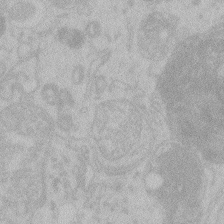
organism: Zebrafish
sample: Macrophage infected with Toxoplasma gondii